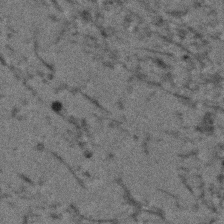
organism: Human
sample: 1205lu cells